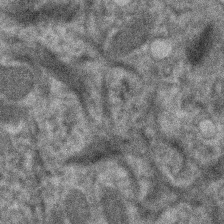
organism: Human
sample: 1205lu cells